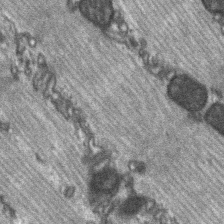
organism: C57BL Mouse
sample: Soleus